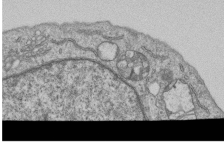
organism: Human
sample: MDA-MB-231 cells